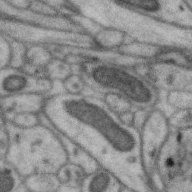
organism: Zebra finch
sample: Brain